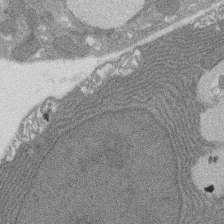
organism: Rat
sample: Salivary granule